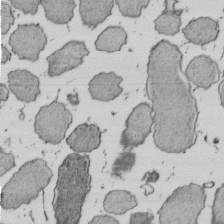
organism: E. coli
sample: Bacterial nucleoid